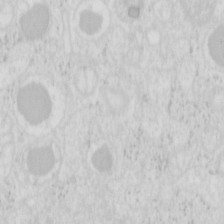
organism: Mouse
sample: Pancreas